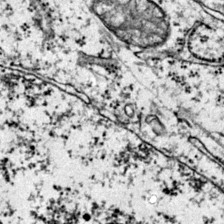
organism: Mouse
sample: Primary visual cortex